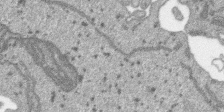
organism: Human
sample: Lung epithelial cells infected with SARS-CoV-2